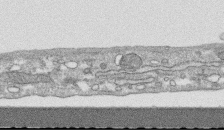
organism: Human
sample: CRL-1474